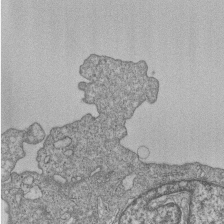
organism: Human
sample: MDA-MB-231 cells